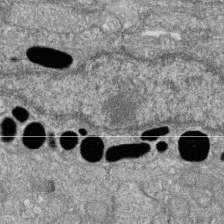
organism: Zebrafish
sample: Cilia; retinal pigment epithelium